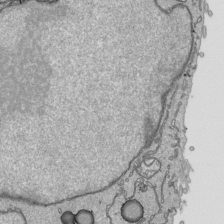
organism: Human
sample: Mitochondria in HCT116 cells